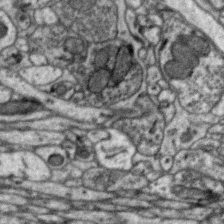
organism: Zebra finch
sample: Brain